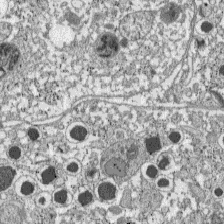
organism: C57BL Mouse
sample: Pancreatic islet